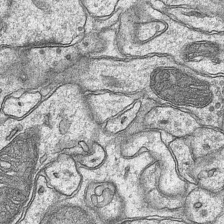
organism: Mouse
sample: CA1 Hippocampus